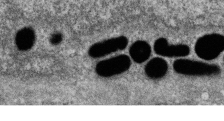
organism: Zebrafish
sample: Cilia; retinal pigment epithelium